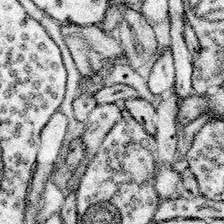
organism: Mouse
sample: Somatosensory cortex neuropil